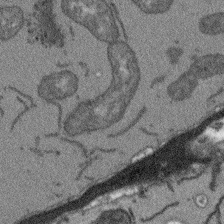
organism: Arabidopsis thaliana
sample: Root tip